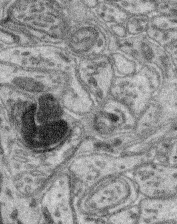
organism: Mouse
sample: Retina